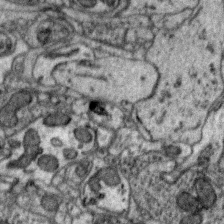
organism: Zebra finch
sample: Brain